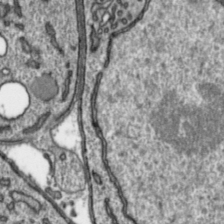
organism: Toxoplasma gondii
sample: Parasites in a vacuole inside a host cell